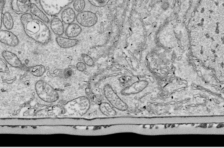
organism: Drosophila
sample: Cell division; meiosis; drosophila spermatocytes